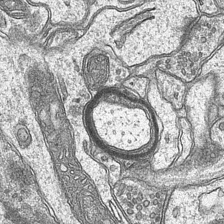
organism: Mouse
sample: CA1 Hippocampus